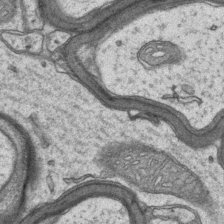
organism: Mouse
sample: CA1 Hippocampus